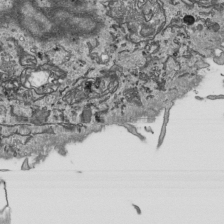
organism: Human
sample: Mitochondria in HCT116 cells